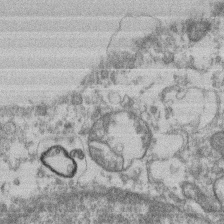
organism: Mouse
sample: T cell stromal cell synapse